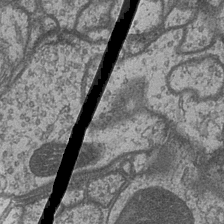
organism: Drosophila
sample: Optic medulla